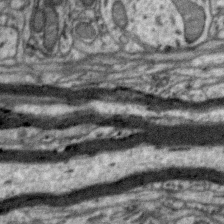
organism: Zebra finch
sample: Brain